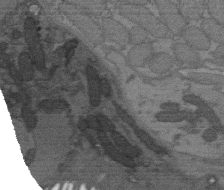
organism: C. elegans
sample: AFD neurons C. elegans